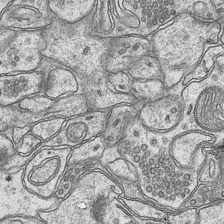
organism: Mouse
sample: CA1 Hippocampus